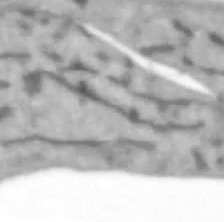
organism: Human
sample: SH-SY5Y cells